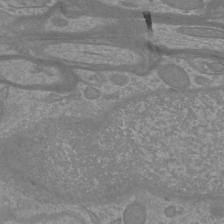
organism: Mouse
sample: Cortical neurons